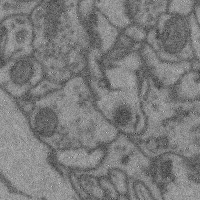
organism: Mouse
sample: Cerebral cortex